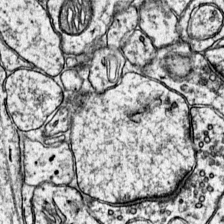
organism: Mouse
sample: Primary visual cortex